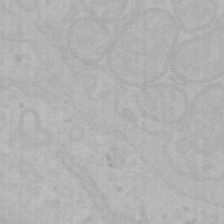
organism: Mouse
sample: Choroid plexus